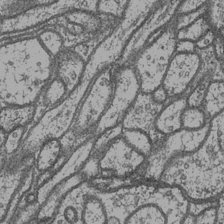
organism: Drosophila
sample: Optic medulla